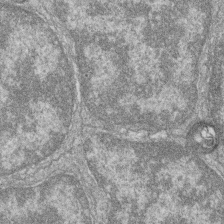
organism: Zebrafish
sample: Cilia; retinal pigment epithelium